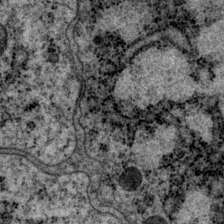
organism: P. pacificus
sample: Pharynx